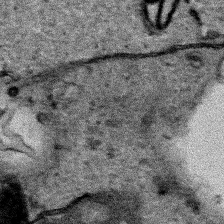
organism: Human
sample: Mitochondria in HCT116 cells